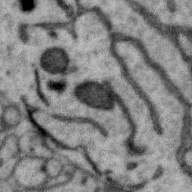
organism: Zebra finch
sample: Brain